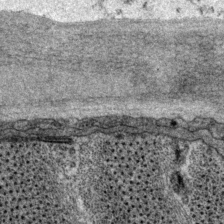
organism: P. pacificus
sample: Pharynx